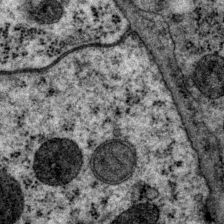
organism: P. pacificus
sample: Pharynx